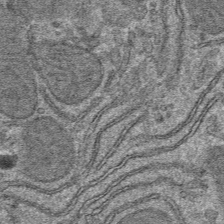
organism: Mouse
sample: Mouse hepatocytes